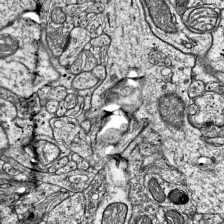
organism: Mouse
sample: Visual Cortex